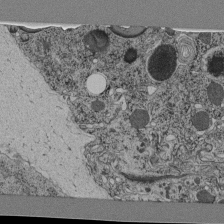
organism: C. elegans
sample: C. elegans pharynx